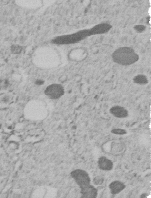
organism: C. elegans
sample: C. elegans embryo early stage